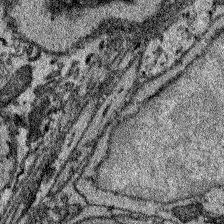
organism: Zebrafish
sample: Larval olfactory bulb